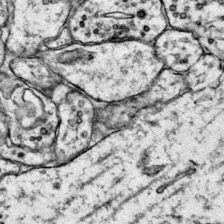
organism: Mouse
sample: Primary visual cortex